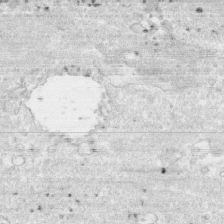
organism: Human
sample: CRL-1474